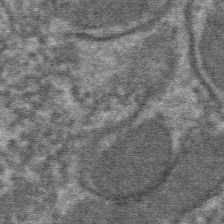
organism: Mouse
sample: Mouse hepatocytes